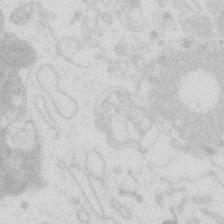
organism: Zebrafish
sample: Macrophage